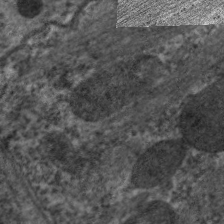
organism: C. elegans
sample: Pharynx